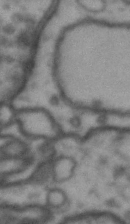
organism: Drosophila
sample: Brain